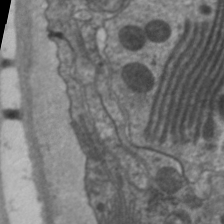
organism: C. elegans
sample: Pharynx